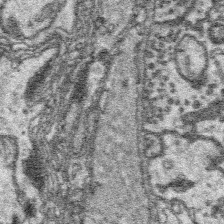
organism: Platynereis dumerilii